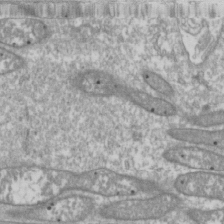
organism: Drosophila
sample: Cell division; meiosis; drosophila spermatocytes